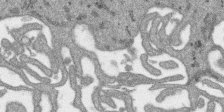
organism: Human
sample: Lung epithelial cells infected with SARS-CoV-2